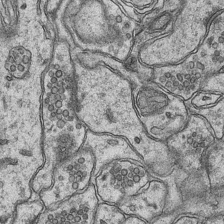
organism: Mouse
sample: CA1 Hippocampus